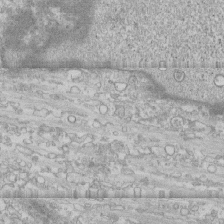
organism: Human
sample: CRL-1474